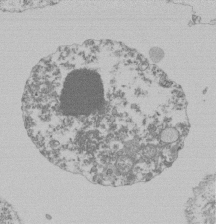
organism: Mouse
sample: Activated Pmel transgenic CD8+ T Cells